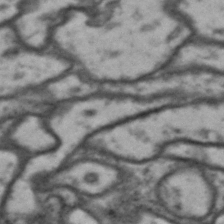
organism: Drosophila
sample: Brain